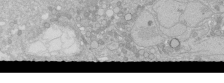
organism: Human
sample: Caco-2 cells